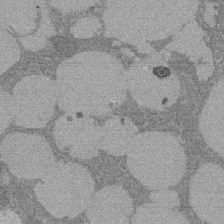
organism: Rat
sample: Salivary granule